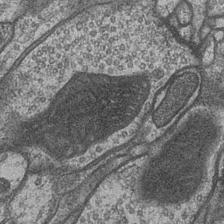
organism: Drosophila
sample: Optic medulla